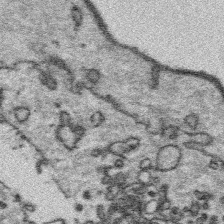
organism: Platynereis dumerilii